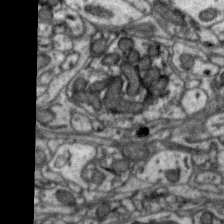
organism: Zebra finch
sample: Brain